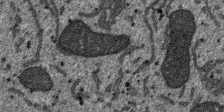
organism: Human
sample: Lung epithelial cells infected with SARS-CoV-2